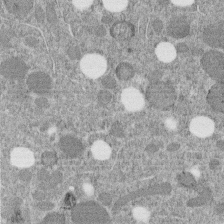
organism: C. elegans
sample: C. elegans embryo early stage